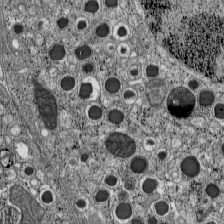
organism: C57BL Mouse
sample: Pancreatic islet